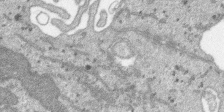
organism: Human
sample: Lung epithelial cells infected with SARS-CoV-2